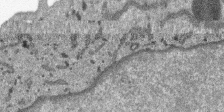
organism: Human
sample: Lung epithelial cells infected with SARS-CoV-2